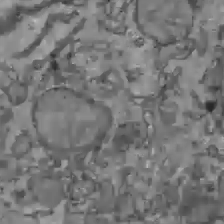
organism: C57BL Mouse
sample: Liver